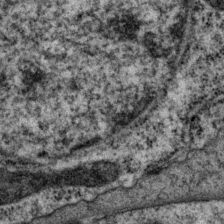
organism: P. pacificus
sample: Pharynx